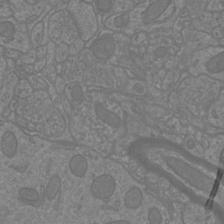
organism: Mouse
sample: Cortical neurons